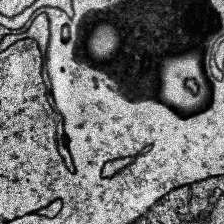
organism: Human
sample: Temporal Lobe